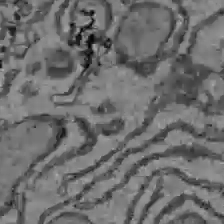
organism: C57BL Mouse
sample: Liver